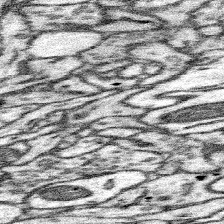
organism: Mouse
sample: Somatosensory cortex neuropil